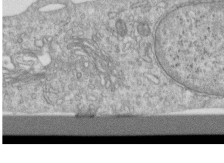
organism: Human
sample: Centriole in RPE cells